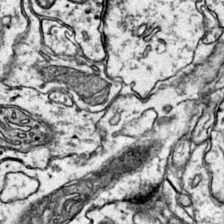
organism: Mouse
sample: Primary visual cortex